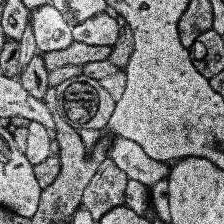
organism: Human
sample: Temporal Lobe